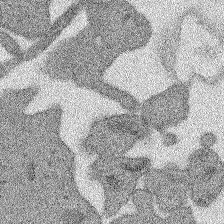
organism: Human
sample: HeLa cells